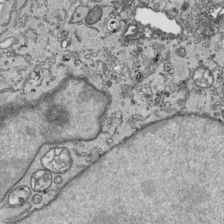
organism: Human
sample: Mitochondria in HCT116 cells